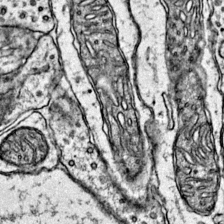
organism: Mouse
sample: Primary visual cortex